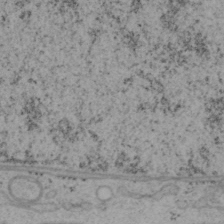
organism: Human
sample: HeLa cells